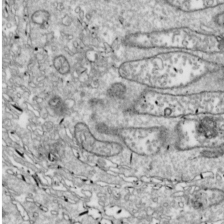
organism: Drosophila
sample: Cell division; meiosis; drosophila spermatocytes